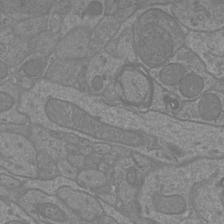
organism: Mouse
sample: Cortical neurons